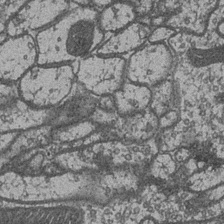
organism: Drosophila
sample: Optic medulla